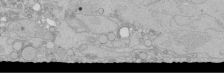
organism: Human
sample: Caco-2 cells